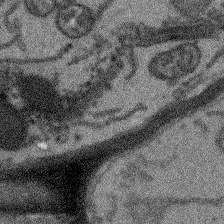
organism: Arabidopsis thaliana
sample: Root tip